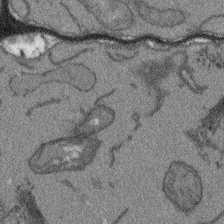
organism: Arabidopsis thaliana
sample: Root tip